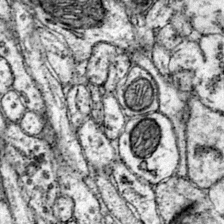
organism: Mouse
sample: Primary visual cortex